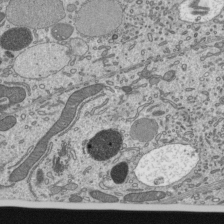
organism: Mouse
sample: Mouse epididymis efferent ductule cilia